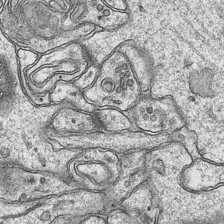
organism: Mouse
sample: CA1 Hippocampus